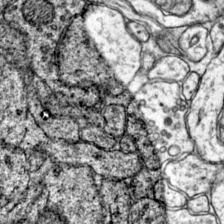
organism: Mouse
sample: Primary visual cortex